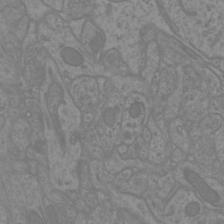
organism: Mouse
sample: Cortical neurons